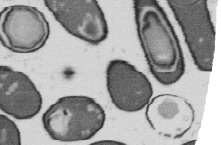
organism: B. subtilis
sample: Bacterial spore